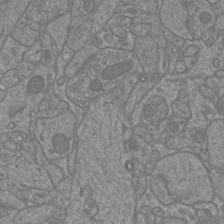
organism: Mouse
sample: Cortical neurons